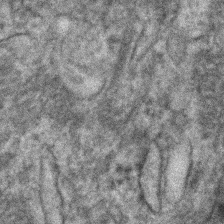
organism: Human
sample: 1205lu cells